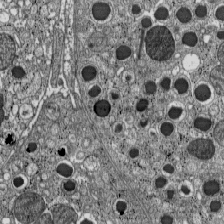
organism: C57BL Mouse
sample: Pancreatic islet